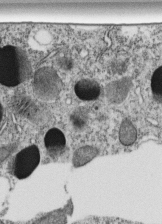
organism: C. elegans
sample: C. elegans embryo early stage